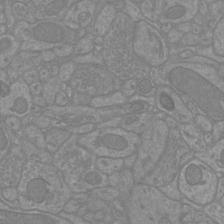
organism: Mouse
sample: Cortical neurons